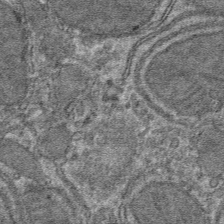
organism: Mouse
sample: Mouse hepatocytes